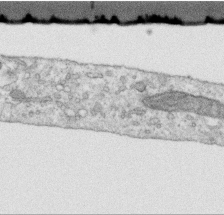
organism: Human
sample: Centriole in RPE cells